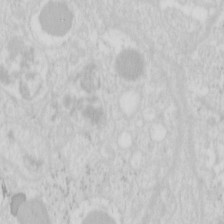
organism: Mouse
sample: Pancreas